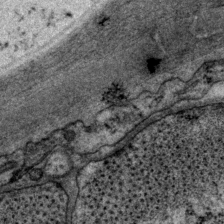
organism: P. pacificus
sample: Pharynx